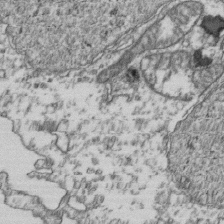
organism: Human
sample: Activated Jurkat CD4+ T cells